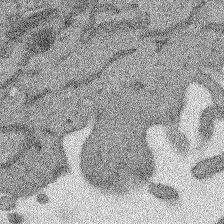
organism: Human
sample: HeLa cells